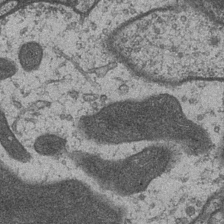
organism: Drosophila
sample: Optic medulla